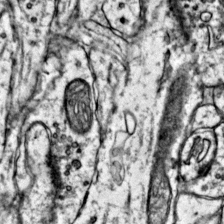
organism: Mouse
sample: Primary visual cortex